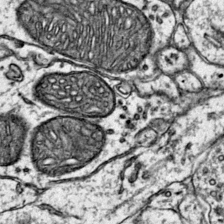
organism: Mouse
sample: Primary visual cortex